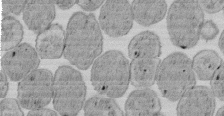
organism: E. coli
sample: Bacterial nucleoid